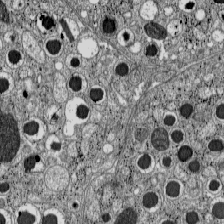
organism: C57BL Mouse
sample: Pancreatic islet